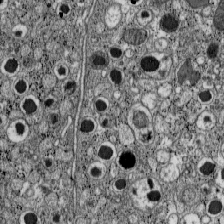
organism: C57BL Mouse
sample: Pancreatic islet